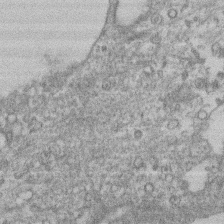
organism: Mouse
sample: T cell stromal cell synapse